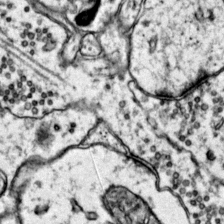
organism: Mouse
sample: Primary visual cortex